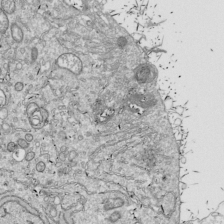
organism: Drosophila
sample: Cell division; meiosis; drosophila spermatocytes